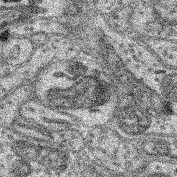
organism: Mouse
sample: Retina